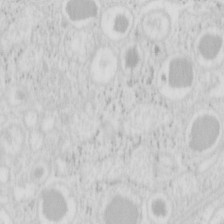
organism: Mouse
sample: Pancreas